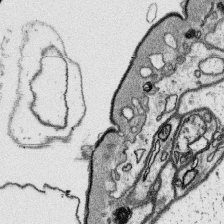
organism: Platynereis dumerilii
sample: Parapodia